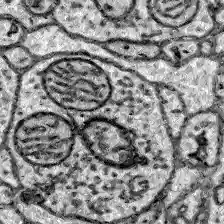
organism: Zebrafish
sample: Brain